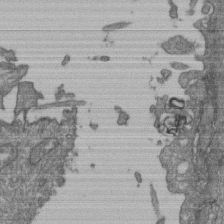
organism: Human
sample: Retinal organoid Rod and Cone cells